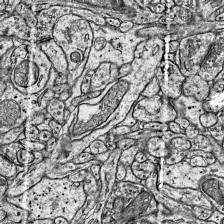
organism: Mouse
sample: Visual Cortex